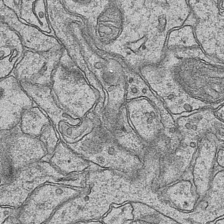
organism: Mouse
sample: CA1 Hippocampus